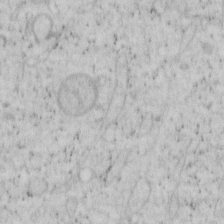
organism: Human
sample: HeLa cells